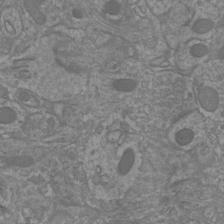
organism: Mouse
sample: Cortical neurons